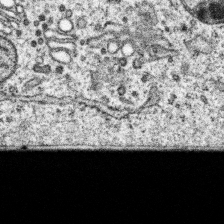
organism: Human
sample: HeLa cells